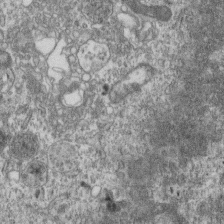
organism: Mouse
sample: Centriole in ependymal cells